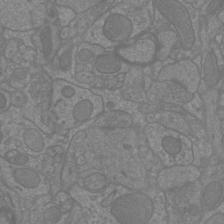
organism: Mouse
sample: Cortical neurons